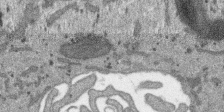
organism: Human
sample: Lung epithelial cells infected with SARS-CoV-2